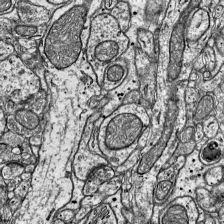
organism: Mouse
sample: Visual Cortex